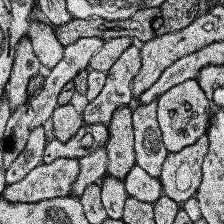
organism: Human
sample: Temporal Lobe